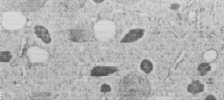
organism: C. elegans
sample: C. elegans embryo early stage